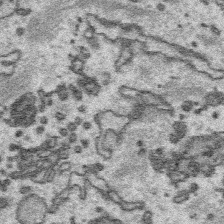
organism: Platynereis dumerilii